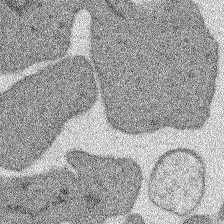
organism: Human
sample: HeLa cells